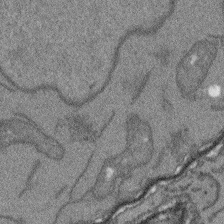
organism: Arabidopsis thaliana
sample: Root tip